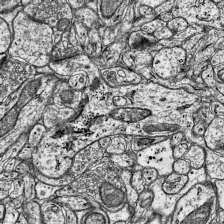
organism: Mouse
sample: Visual Cortex